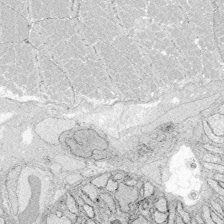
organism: Zebrafish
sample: Whole-Brain